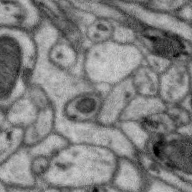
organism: Zebra finch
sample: Brain